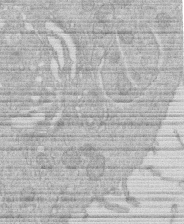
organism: Human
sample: Macrophage cells